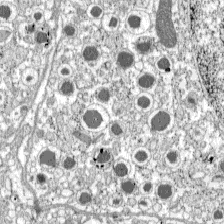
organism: C57BL Mouse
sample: Pancreatic islet